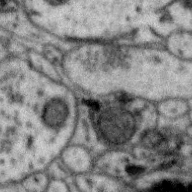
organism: Zebra finch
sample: Brain